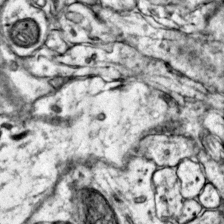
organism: Mouse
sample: Primary visual cortex